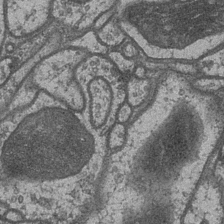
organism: Drosophila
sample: Optic medulla